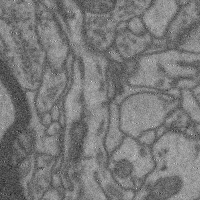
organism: Mouse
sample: Cerebral cortex